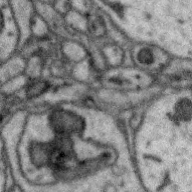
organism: Zebra finch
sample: Brain